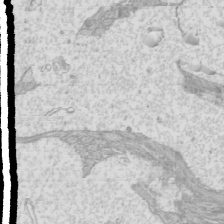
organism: Mouse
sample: Cilia; mouse epididymis